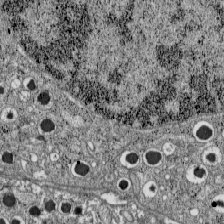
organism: C57BL Mouse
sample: Pancreatic islet